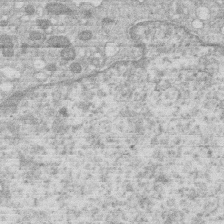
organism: Human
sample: Macrophage cells